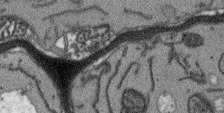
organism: Arabidopsis thaliana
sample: Root tip